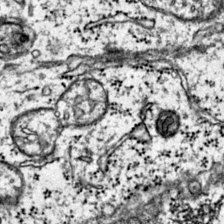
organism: Mouse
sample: Primary visual cortex